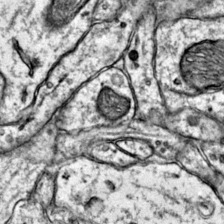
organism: Mouse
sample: Primary visual cortex